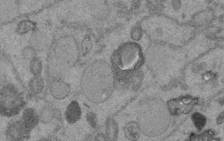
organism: C. elegans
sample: C. elegans embryo early stage